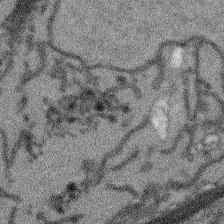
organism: Arabidopsis thaliana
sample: Root tip